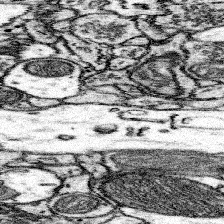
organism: Mouse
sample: Somatosensory cortex neuropil